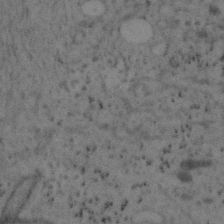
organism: Human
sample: HeLa cells